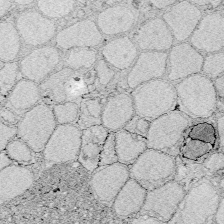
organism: Zebrafish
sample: Whole-Brain